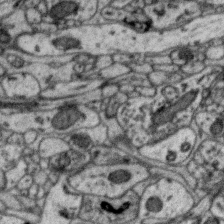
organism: Zebra finch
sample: Brain